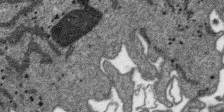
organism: Human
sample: Lung epithelial cells infected with SARS-CoV-2